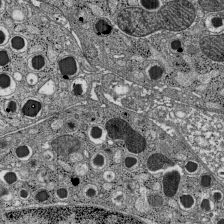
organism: C57BL Mouse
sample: Pancreatic islet